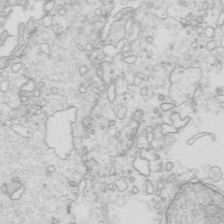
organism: Mouse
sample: Multiciliated cells